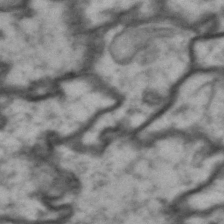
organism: Drosophila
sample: Brain